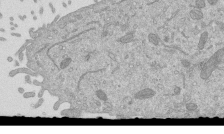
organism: Mouse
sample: ED-1 cell nuclei; centrioles